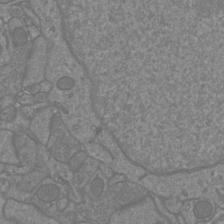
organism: Mouse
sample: Cortical neurons